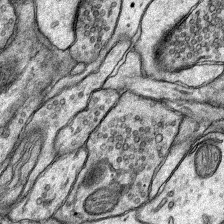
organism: Rat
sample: Hippocampus